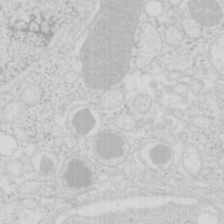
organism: Mouse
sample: Pancreas